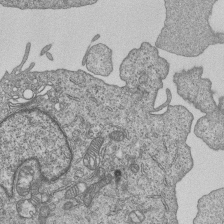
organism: Human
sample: MDA-MB-231 cells